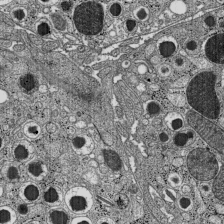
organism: C57BL Mouse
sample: Pancreatic islet